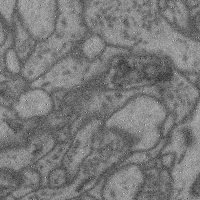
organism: Mouse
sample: Cerebral cortex